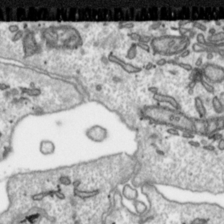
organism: Toxoplasma gondii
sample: Parasites in a vacuole inside a host cell